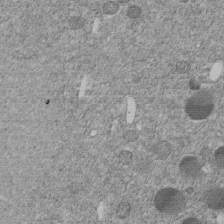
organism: C. elegans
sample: C. elegans embryo early stage